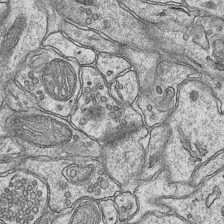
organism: Mouse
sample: CA1 Hippocampus